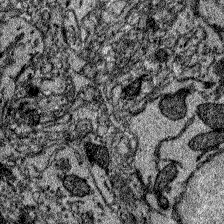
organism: Zebrafish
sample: Larval olfactory bulb